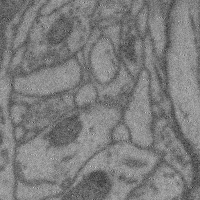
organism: Mouse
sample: Cerebral cortex